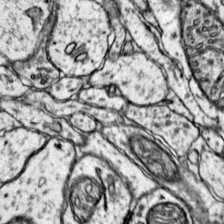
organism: Mouse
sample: Primary visual cortex